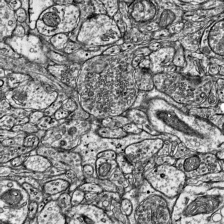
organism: Mouse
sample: Visual Cortex